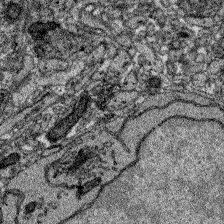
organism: Zebrafish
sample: Larval olfactory bulb